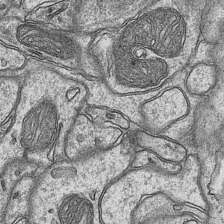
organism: Mouse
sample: CA1 Hippocampus